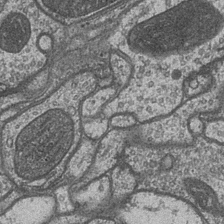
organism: Drosophila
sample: Optic medulla